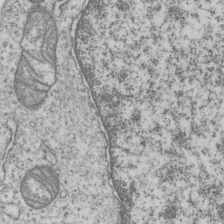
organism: Human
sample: MDA-MB-231 cells